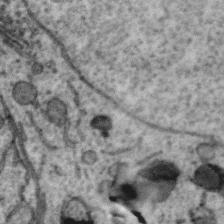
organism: Zebra finch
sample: Brain